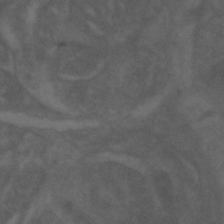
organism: Zebrafish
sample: Zebrafish embryo